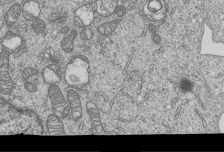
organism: Human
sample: MDA-MB-231 cells